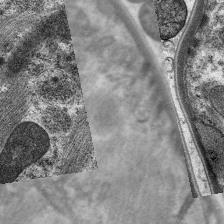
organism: C. elegans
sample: Pharynx